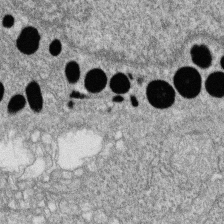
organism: Zebrafish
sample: Cilia; retinal pigment epithelium